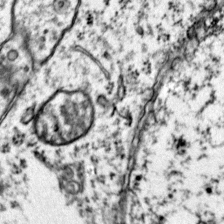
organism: Mouse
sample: Primary visual cortex